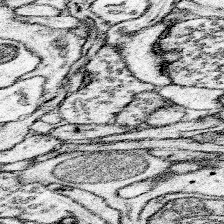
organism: Mouse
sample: Somatosensory cortex neuropil